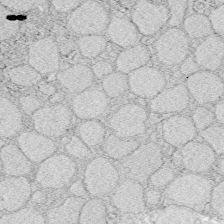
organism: Zebrafish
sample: Whole-Brain